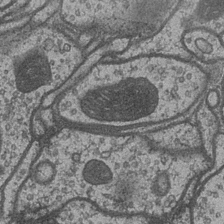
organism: Drosophila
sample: Optic medulla